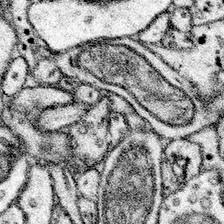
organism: Mouse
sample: Somatosensory cortex neuropil